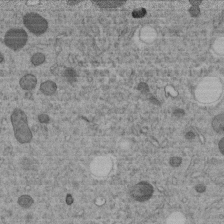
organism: C. elegans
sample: C. elegans embryo early stage